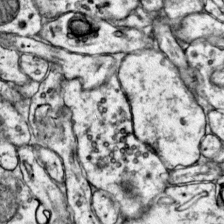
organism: Mouse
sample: Primary visual cortex